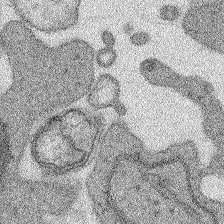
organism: Human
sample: HeLa cells